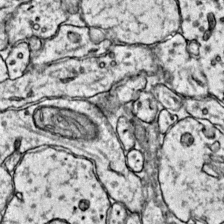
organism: Mouse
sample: Primary visual cortex